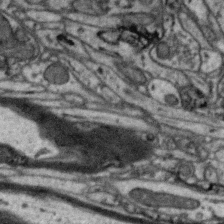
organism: Zebra finch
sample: Brain